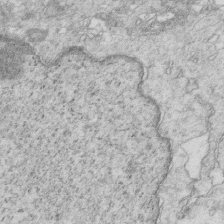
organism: Mouse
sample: Multiciliated cells